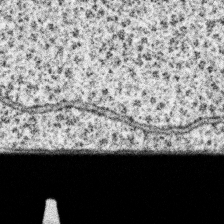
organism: Human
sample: HeLa cells